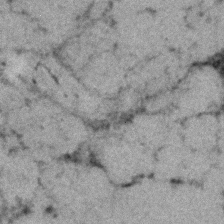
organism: Human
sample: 1205lu cells